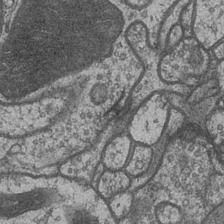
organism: Drosophila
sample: Optic medulla